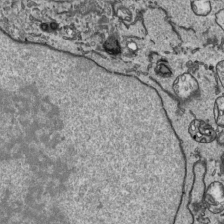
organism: Human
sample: Mitochondria in HCT116 cells